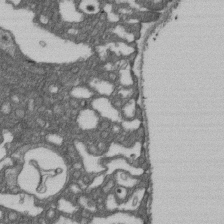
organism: Drosophila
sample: Nephrocyte